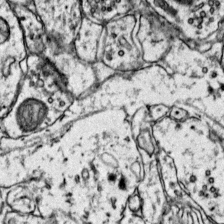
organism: Mouse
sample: Primary visual cortex